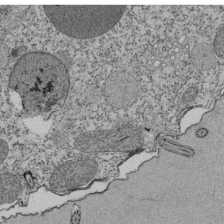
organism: Tetrahymena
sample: Cilia in tetrahymena